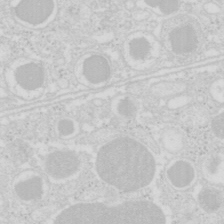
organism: Mouse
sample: Pancreas